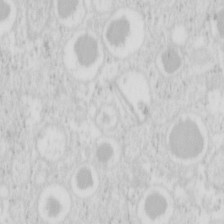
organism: Mouse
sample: Pancreas